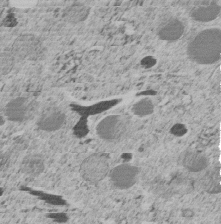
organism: C. elegans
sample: C. elegans embryo early stage